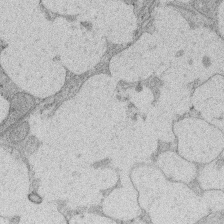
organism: Rat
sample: Salivary granule